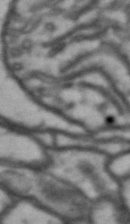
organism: Drosophila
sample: Brain